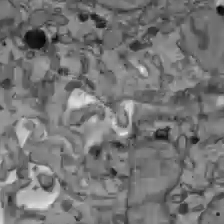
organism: C57BL Mouse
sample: Liver